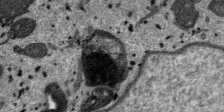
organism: Human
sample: Lung epithelial cells, uninfected (mock) control